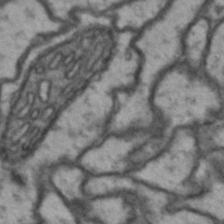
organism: Drosophila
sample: Brain